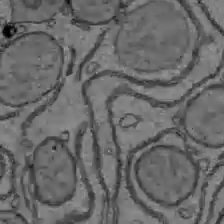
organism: C57BL Mouse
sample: Liver